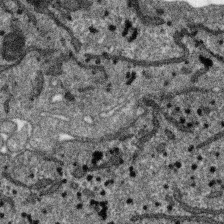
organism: Human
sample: Lung epithelial cells infected with SARS-CoV-2